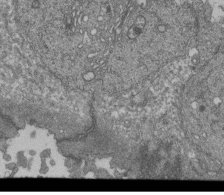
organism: Human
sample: Retinal organoid Rod and Cone cells